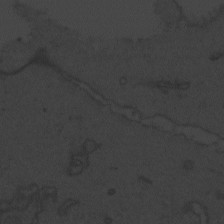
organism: Zebrafish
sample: Macrophage infected with Toxoplasma gondii